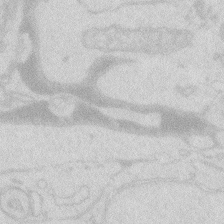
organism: Zebrafish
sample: Macrophage